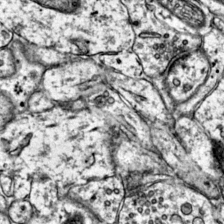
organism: Mouse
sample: Primary visual cortex